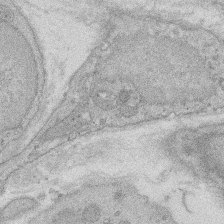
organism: Rat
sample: Salivary granule